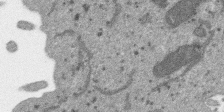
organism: Human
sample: Lung epithelial cells infected with SARS-CoV-2